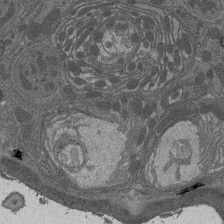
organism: Drosophila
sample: Antenna